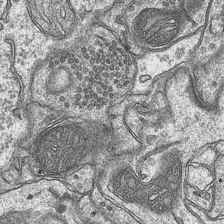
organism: Mouse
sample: CA1 Hippocampus